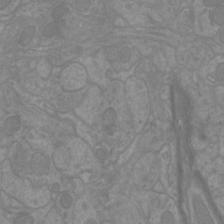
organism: Mouse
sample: Cortical neurons